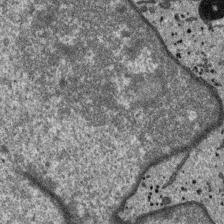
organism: Human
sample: Lung epithelial cells, uninfected (mock) control